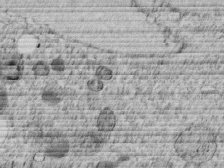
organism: C. elegans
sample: C. elegans embryo early stage